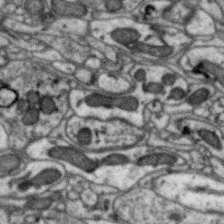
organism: Zebra finch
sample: Brain